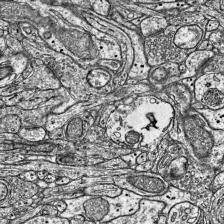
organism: Mouse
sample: Visual Cortex